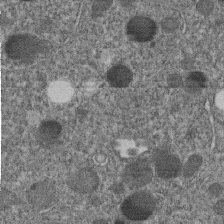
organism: C. elegans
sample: C. elegans embryo early stage